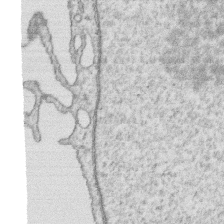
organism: Human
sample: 1205lu cells